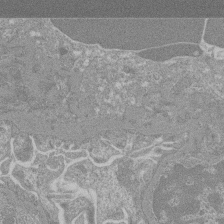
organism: Mouse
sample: Glomerulus